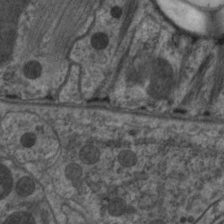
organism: C. elegans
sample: Pharynx